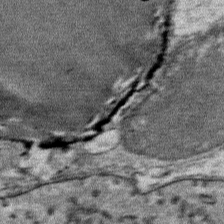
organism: Mouse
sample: Mouse Salivary gland